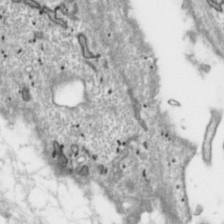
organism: Toxoplasma gondii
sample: Parasites in a vacuole inside a host cell